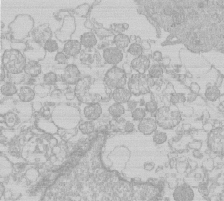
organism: Human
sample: Macrophage cells